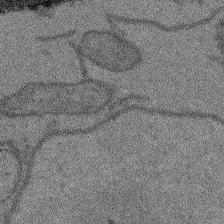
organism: Arabidopsis thaliana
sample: Root tip